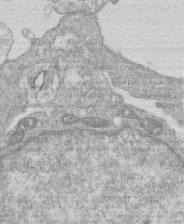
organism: Human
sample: Macrophage cells